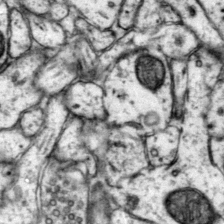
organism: Mouse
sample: Primary visual cortex